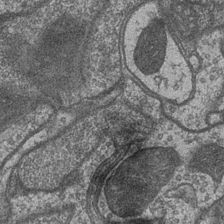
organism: Drosophila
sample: Optic medulla